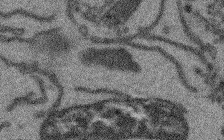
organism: Arabidopsis thaliana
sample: Root tip